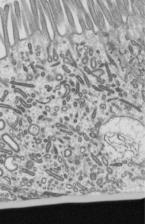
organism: Mouse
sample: Mouse epididymis efferent ductule cilia